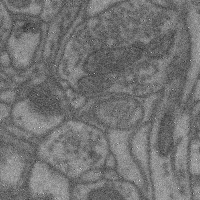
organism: Mouse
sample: Cerebral cortex